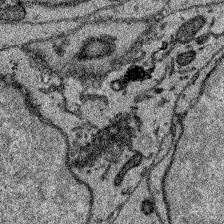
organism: Zebrafish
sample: Larval olfactory bulb